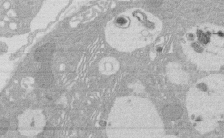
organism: Rat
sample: Salivary granule